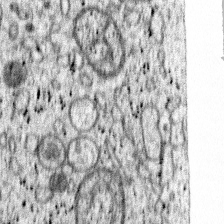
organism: Human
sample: HeLa cells